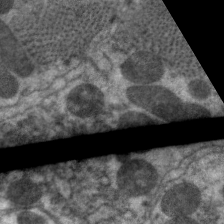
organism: C. elegans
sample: Pharynx